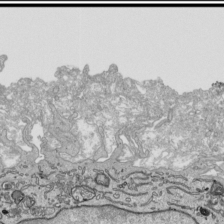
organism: Human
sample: Mitochondria in HCT116 cells